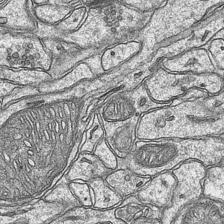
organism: Mouse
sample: CA1 Hippocampus